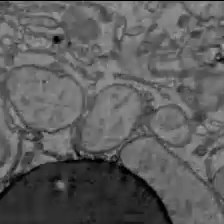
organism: C57BL Mouse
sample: Liver